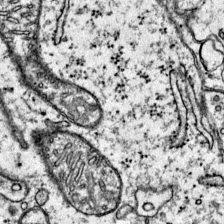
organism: Mouse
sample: Primary visual cortex